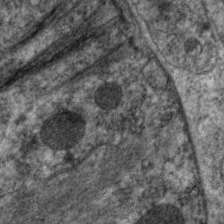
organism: C. elegans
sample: Pharynx